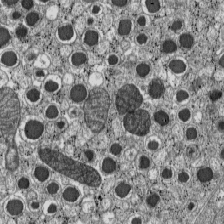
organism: C57BL Mouse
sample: Pancreatic islet